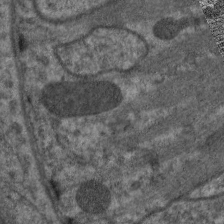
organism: C. elegans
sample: Pharynx